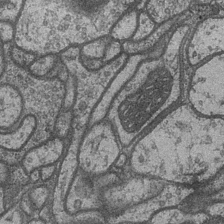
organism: Drosophila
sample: Optic medulla